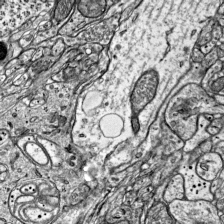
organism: Mouse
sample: Visual Cortex